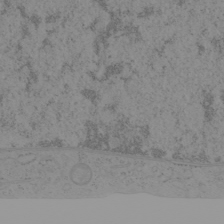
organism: Human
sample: HeLa cells